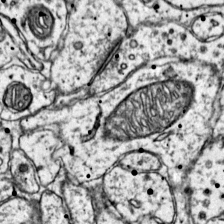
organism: Mouse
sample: Primary visual cortex